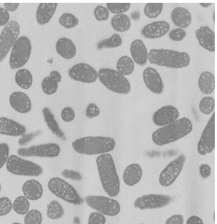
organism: E. coli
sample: Bacterial nucleoid